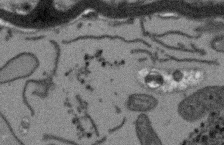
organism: Arabidopsis thaliana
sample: Root tip